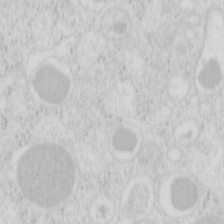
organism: Mouse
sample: Pancreas